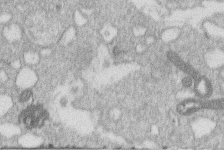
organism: Human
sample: Macrophage cells